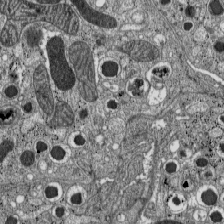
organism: C57BL Mouse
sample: Pancreatic islet